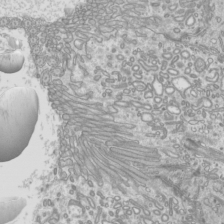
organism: Mouse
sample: Cilia; mouse epididymis